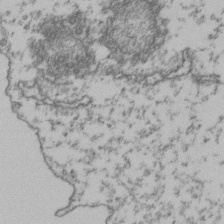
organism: Human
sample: Activated Jurkat CD4+ T cells